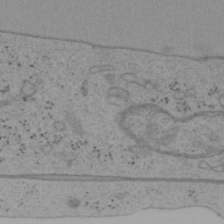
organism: Human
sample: HeLa cells